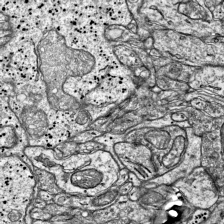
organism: Mouse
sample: Visual Cortex